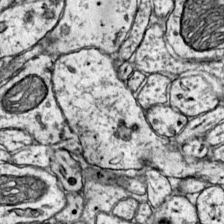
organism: Mouse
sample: Primary visual cortex